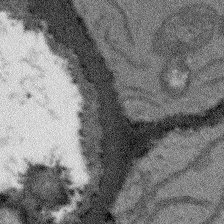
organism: Arabidopsis thaliana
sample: Root tip